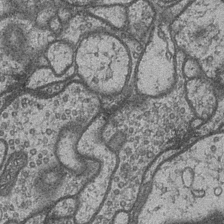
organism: Drosophila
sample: Optic medulla